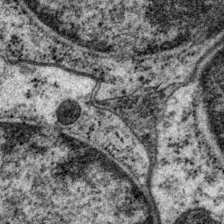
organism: P. pacificus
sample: Pharynx